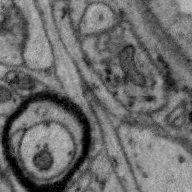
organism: Zebra finch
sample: Brain